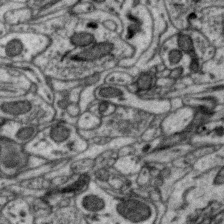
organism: Zebra finch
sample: Brain